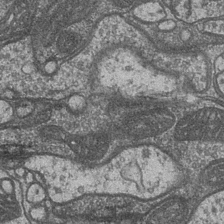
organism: Drosophila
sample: Optic medulla